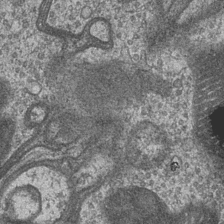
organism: Drosophila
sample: Optic medulla